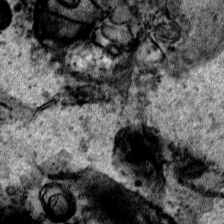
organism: Human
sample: Mitochondria in HCT116 cells